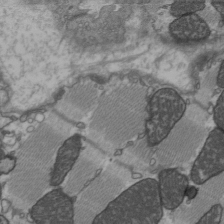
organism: C57BL Mouse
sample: Heart